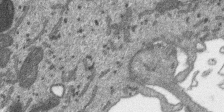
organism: Human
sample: Lung epithelial cells infected with SARS-CoV-2